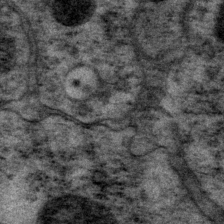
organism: P. pacificus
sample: Pharynx